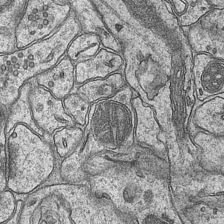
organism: Mouse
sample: CA1 Hippocampus